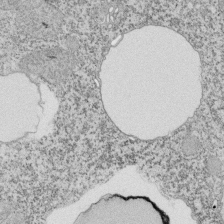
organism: Tetrahymena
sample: Cilia in tetrahymena